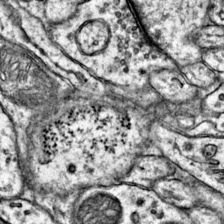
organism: Mouse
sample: Primary visual cortex